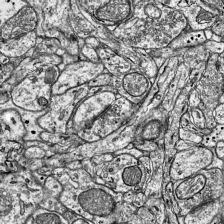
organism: Mouse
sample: Visual Cortex